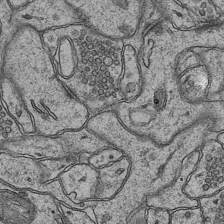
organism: Mouse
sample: CA1 Hippocampus